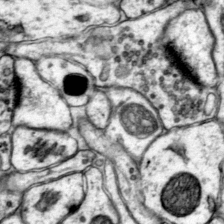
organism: Mouse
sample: Primary visual cortex